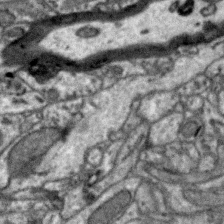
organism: Zebra finch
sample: Brain